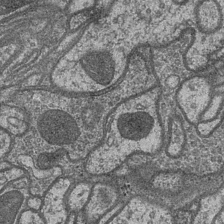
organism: Drosophila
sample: Optic medulla